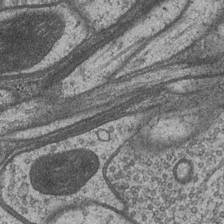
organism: Drosophila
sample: Optic medulla